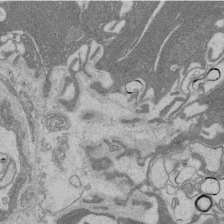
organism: Rat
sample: Salivary granule